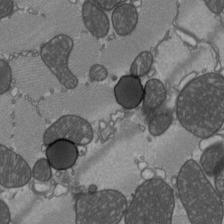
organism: C57BL Mouse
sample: Heart